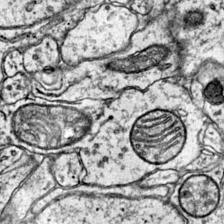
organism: Mouse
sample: Primary visual cortex